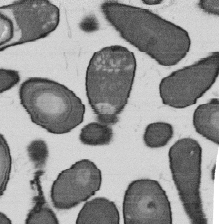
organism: B. subtilis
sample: Bacterial spore